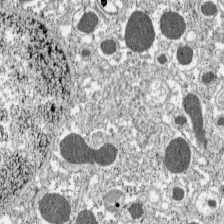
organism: C57BL Mouse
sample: Pancreatic islet